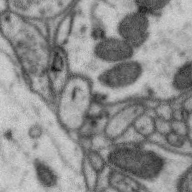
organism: Zebra finch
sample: Brain